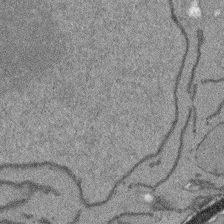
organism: Arabidopsis thaliana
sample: Root tip